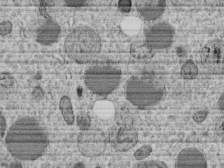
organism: C. elegans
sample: C. elegans embryo early stage